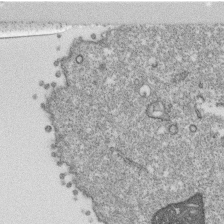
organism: African green monkey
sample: Vero E6 cells infected with SARS-CoV-2